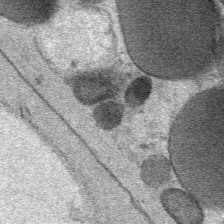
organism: Mouse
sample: Mouse Salivary gland